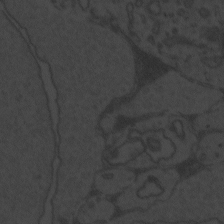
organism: Zebrafish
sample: Macrophage infected with Toxoplasma gondii